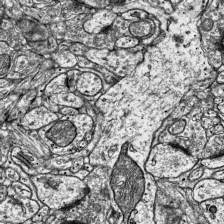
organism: Mouse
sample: Visual Cortex